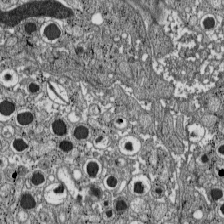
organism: C57BL Mouse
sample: Pancreatic islet